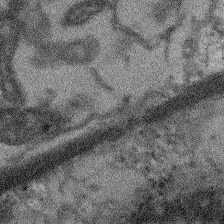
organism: Arabidopsis thaliana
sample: Root tip